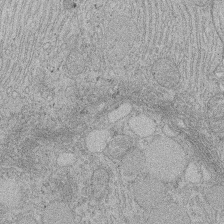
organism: Rat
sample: Salivary granule